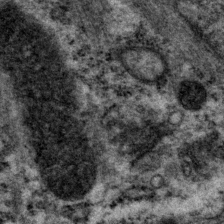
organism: P. pacificus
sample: Pharynx